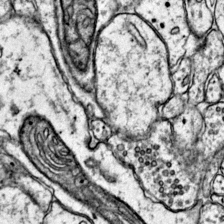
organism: Mouse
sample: Primary visual cortex